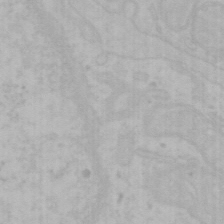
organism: Mouse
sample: Choroid plexus